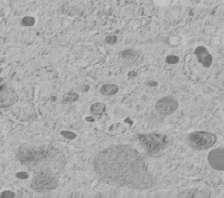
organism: C. elegans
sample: C. elegans embryo early stage